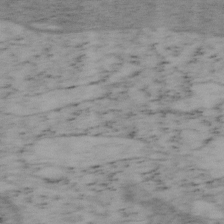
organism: Mouse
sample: OT-I killer T cells with ID8 ovarian cancer cells